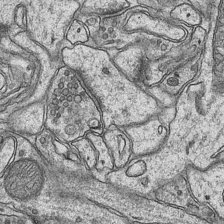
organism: Mouse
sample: CA1 Hippocampus